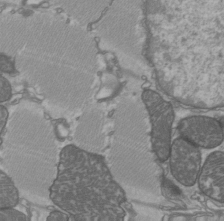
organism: C57BL Mouse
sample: Heart